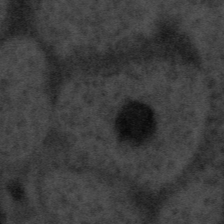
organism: Tuwongella immobilis